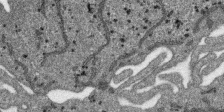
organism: Human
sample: Lung epithelial cells infected with SARS-CoV-2